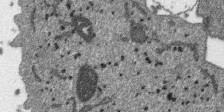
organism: Human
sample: Lung epithelial cells infected with SARS-CoV-2